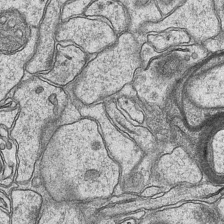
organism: Mouse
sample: CA1 Hippocampus